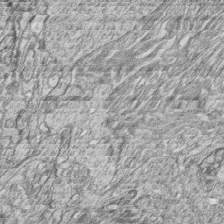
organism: Zebrafish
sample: synaptic ribbons in rod cells and cone cells